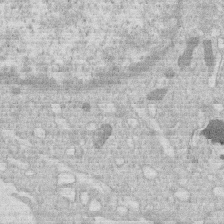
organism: Human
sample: Macrophage cells